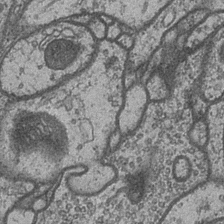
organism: Drosophila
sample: Optic medulla